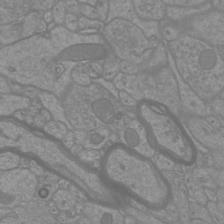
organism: Mouse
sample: Cortical neurons